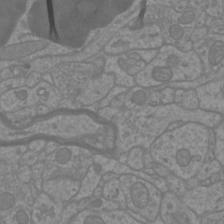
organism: Mouse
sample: Cortical neurons